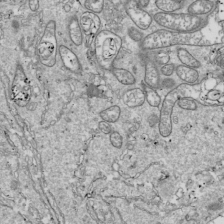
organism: Drosophila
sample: Cell division; meiosis; drosophila spermatocytes